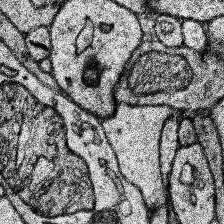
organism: Human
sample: Temporal Lobe